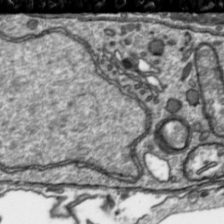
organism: Toxoplasma gondii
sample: Parasites in a vacuole inside a host cell